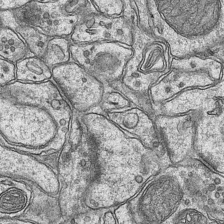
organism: Mouse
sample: CA1 Hippocampus